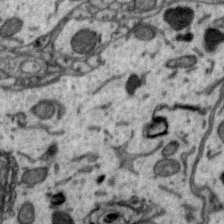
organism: Zebra finch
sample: Brain